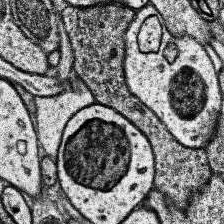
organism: Human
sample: Temporal Lobe